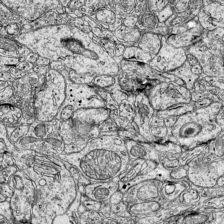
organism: Mouse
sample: Visual Cortex